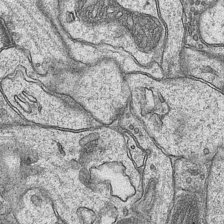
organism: Mouse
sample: CA1 Hippocampus